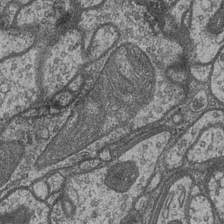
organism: Drosophila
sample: Optic medulla